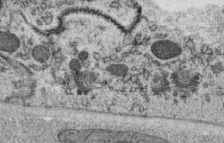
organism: C. elegans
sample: C. elegans oocyte; sperm cells